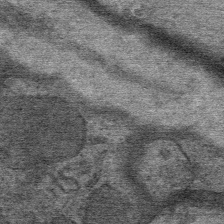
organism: Mouse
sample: Mouse Salivary gland